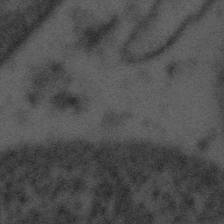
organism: Tuwongella immobilis